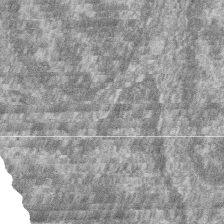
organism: Zebrafish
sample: Cilia; retinal pigment epithelium